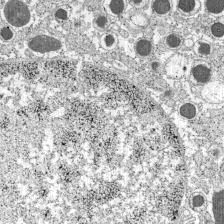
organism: C57BL Mouse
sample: Pancreatic islet